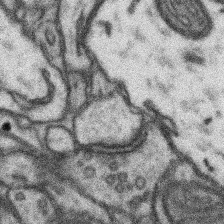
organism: Mouse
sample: Somatosensory cortex neuropil